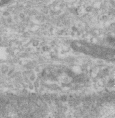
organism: Human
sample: Centriole in RPE cells